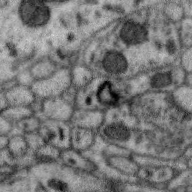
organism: Zebra finch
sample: Brain